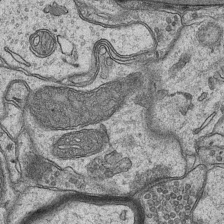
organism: Mouse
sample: CA1 Hippocampus